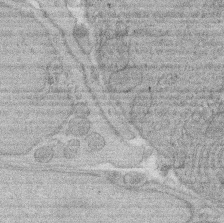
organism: Rat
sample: Salivary granule